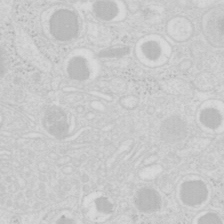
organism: Mouse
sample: Pancreas